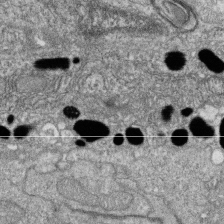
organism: Zebrafish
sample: Cilia; retinal pigment epithelium